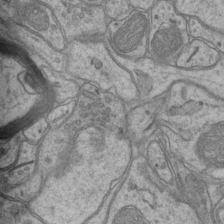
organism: Mouse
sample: CA1 Hippocampus